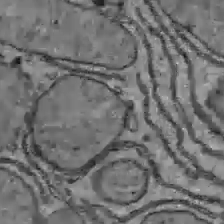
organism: C57BL Mouse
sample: Liver